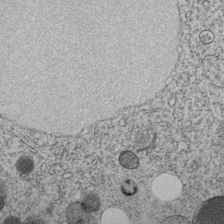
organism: C. elegans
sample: C. elegans embryo early stage